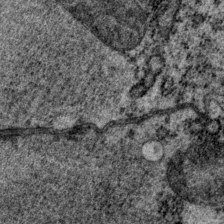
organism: P. pacificus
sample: Pharynx